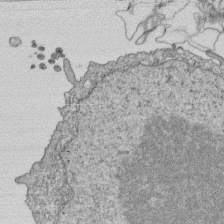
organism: Human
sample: HeLa cell HIV synapse